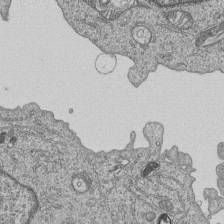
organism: Human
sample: MDA-MB-231 cells